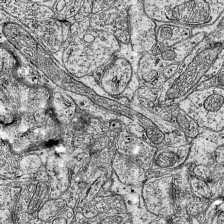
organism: Mouse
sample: Visual Cortex